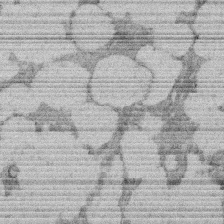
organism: Rat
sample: Salivary granule